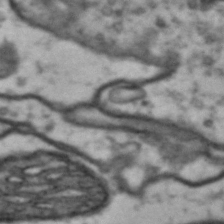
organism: Drosophila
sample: Brain